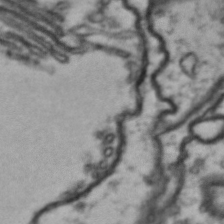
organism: Drosophila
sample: Brain